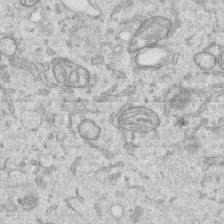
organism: Human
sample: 1205lu cells